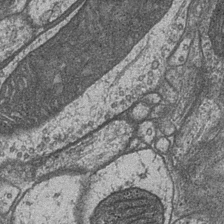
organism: Drosophila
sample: Optic medulla